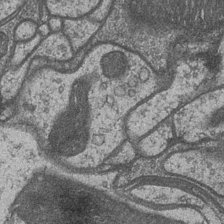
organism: Drosophila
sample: Optic medulla